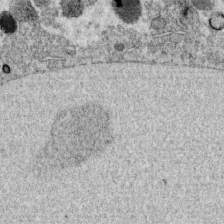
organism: C. elegans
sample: C. elegans oocyte; sperm cells